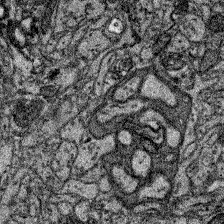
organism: Zebrafish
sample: Larval olfactory bulb